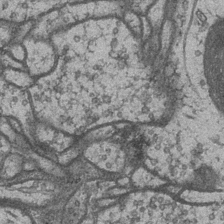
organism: Drosophila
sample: Optic medulla